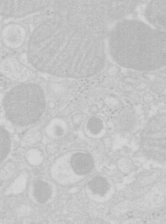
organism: Mouse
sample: Pancreas